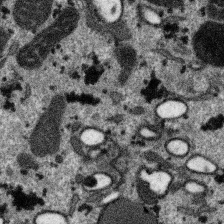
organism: Human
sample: Lung epithelial cells infected with SARS-CoV-2